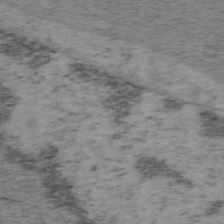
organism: Mouse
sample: OT-I killer T cells with ID8 ovarian cancer cells